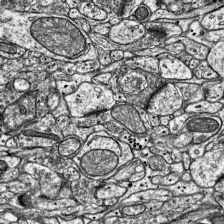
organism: Mouse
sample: Visual Cortex